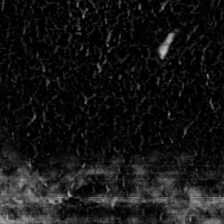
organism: Toxoplasma gondii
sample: Parasites in a vacuole inside a host cell